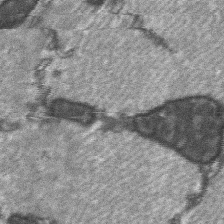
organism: C57BL Mouse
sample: Soleus